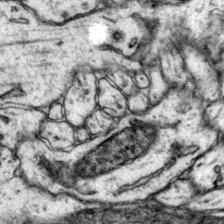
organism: Mouse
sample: Primary visual cortex